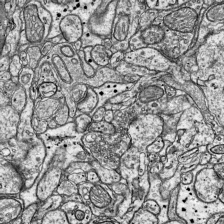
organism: Mouse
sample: Visual Cortex